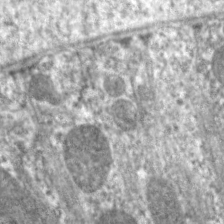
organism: C. elegans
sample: Pharynx